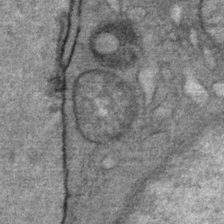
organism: Mouse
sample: Mouse Salivary gland